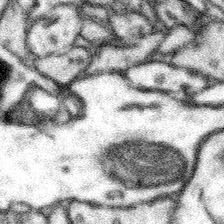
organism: Mouse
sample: Somatosensory cortex neuropil